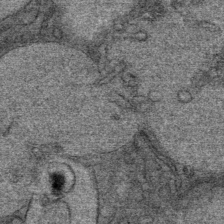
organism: Mouse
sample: Mouse Salivary gland